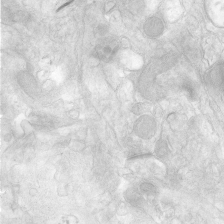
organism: Human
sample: Neocortex